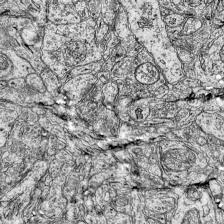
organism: Mouse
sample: Visual Cortex